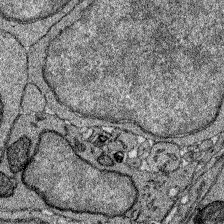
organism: Zebrafish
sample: Larval olfactory bulb